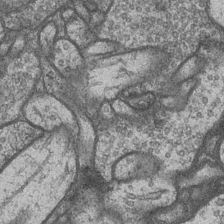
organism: Drosophila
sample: Optic medulla